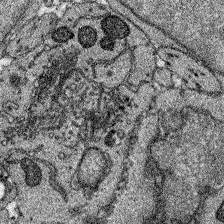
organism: Zebrafish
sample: Larval olfactory bulb